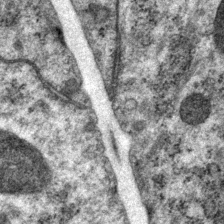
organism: P. pacificus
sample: Pharynx